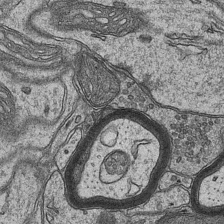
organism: Mouse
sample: CA1 Hippocampus